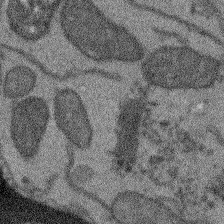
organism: Arabidopsis thaliana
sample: Root tip